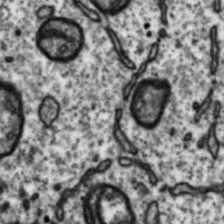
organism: Human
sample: HeLa cells